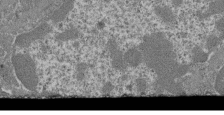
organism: Mouse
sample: Glomerulus